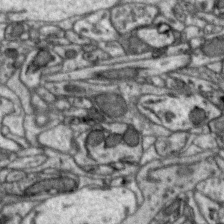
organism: Zebra finch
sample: Brain